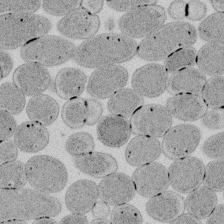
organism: E. coli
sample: Bacterial nucleoid